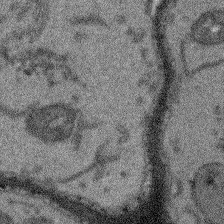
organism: Arabidopsis thaliana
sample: Root tip